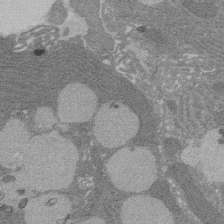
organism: Rat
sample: Salivary granule